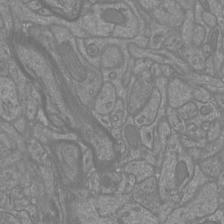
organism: Mouse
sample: Cortical neurons